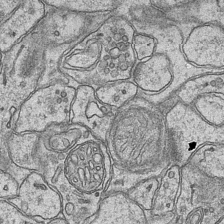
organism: Mouse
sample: CA1 Hippocampus